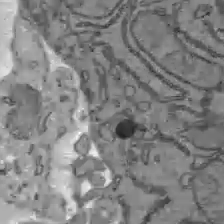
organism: C57BL Mouse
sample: Liver